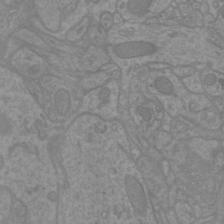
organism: Mouse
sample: Cortical neurons